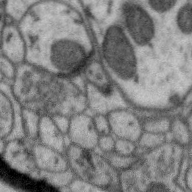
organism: Zebra finch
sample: Brain